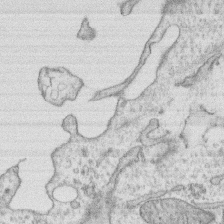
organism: Human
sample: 1205lu cells